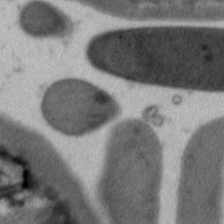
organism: C. elegans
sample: Pharynx